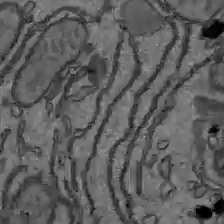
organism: C57BL Mouse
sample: Liver